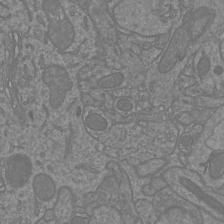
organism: Mouse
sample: Cortical neurons